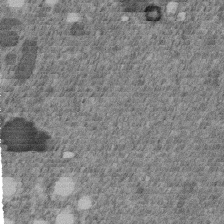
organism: C. elegans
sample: C. elegans embryo early stage